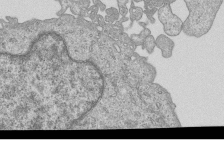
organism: Human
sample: MDA-MB-231 cells